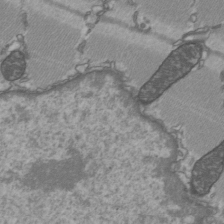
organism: C57BL Mouse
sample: Heart